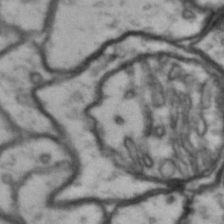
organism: Drosophila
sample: Brain